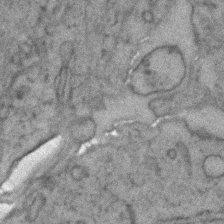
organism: Zebrafish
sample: Zebrafish embryo